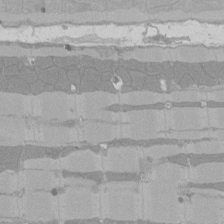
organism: Rat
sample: Left ventricle